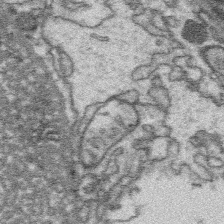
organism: Platynereis dumerilii